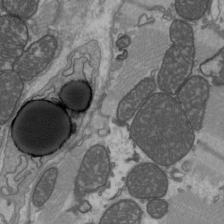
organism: C57BL Mouse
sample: Heart